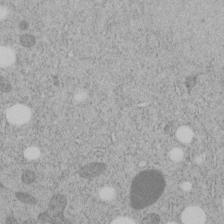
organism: C. elegans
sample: C. elegans embryo early stage